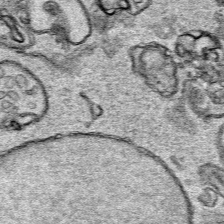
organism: Human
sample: Mitochondria in HCT116 cells